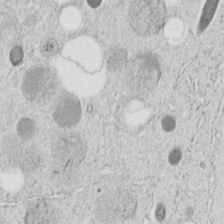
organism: C. elegans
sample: C. elegans embryo early stage